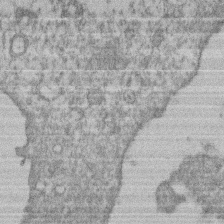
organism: Mouse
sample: T cell stromal cell synapse